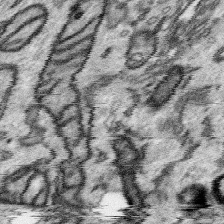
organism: Human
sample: HeLa cells